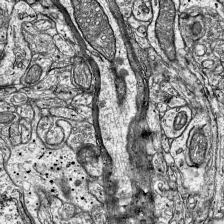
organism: Mouse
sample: Visual Cortex